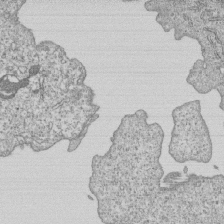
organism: Human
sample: MDA-MB-231 cells